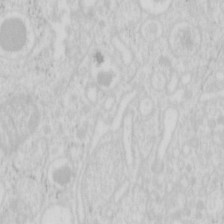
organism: Mouse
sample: Pancreas